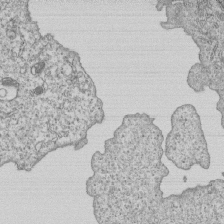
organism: Human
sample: MDA-MB-231 cells